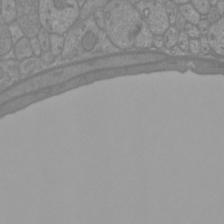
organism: Mouse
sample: Cortical neurons